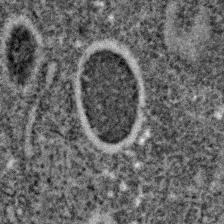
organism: C. elegans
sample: C. elegans embryo